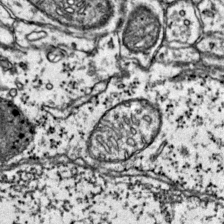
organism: Mouse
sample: Primary visual cortex